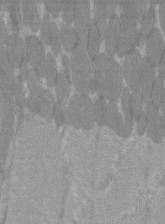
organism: C57BL Mouse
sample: Tibialis anterior muscle cell